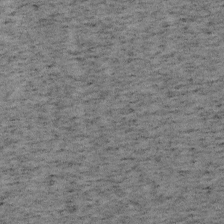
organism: Mouse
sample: OT-I killer T cells with ID8 ovarian cancer cells